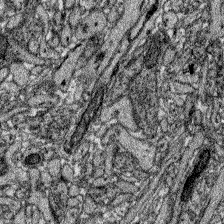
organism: Zebrafish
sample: Larval olfactory bulb